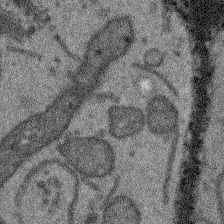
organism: Arabidopsis thaliana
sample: Root tip